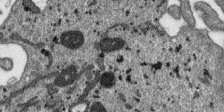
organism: Human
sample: Lung epithelial cells infected with SARS-CoV-2